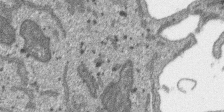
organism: Human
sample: Lung epithelial cells infected with SARS-CoV-2